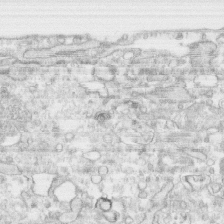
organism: Human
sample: CRL-1474